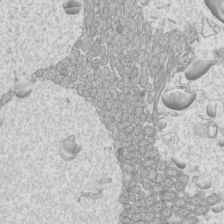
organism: Mouse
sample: Cilia; mouse epididymis